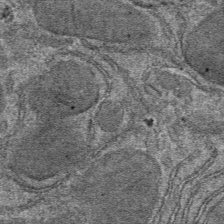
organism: Mouse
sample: Mouse hepatocytes